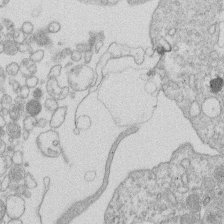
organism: Human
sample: Macrophage cells